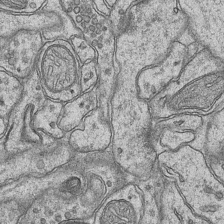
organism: Mouse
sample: CA1 Hippocampus